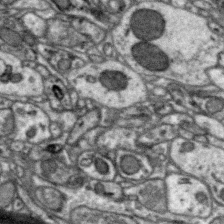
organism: Zebra finch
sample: Brain